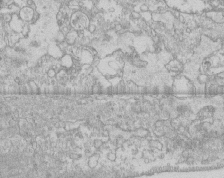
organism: Human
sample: CRL-1474